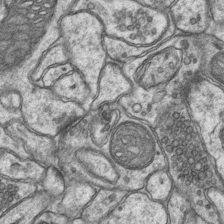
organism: Mouse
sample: CA1 Hippocampus